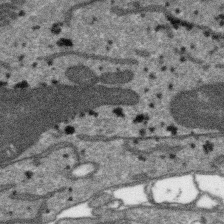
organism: Human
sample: Lung epithelial cells infected with SARS-CoV-2